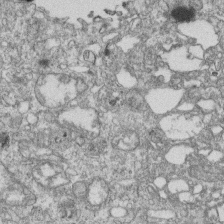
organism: Human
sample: HeLa cell HIV synapse